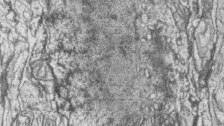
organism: Zebrafish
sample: synaptic ribbons in rod cells and cone cells